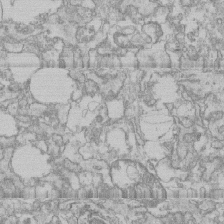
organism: Human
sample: CRL-1474